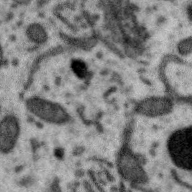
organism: Zebra finch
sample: Brain